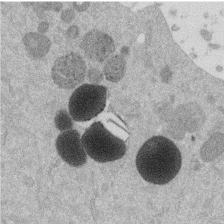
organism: Mouse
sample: Dividing mouse embryo 1 cell stage